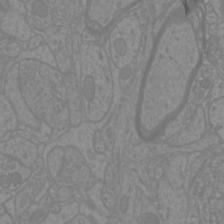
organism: Mouse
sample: Cortical neurons